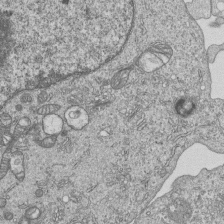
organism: Human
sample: MDA-MB-231 cells